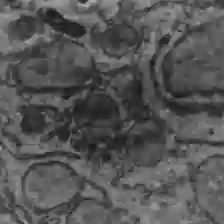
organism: C57BL Mouse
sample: Liver